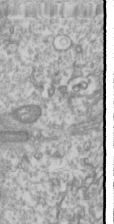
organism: Drosophila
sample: Cell division; meiosis; drosophila spermatocytes